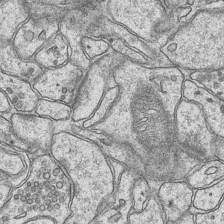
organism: Mouse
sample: CA1 Hippocampus